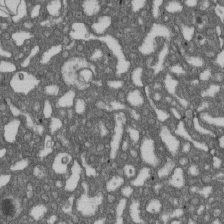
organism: Drosophila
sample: Nephrocyte